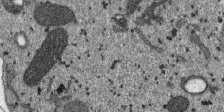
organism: Human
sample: Lung epithelial cells infected with SARS-CoV-2